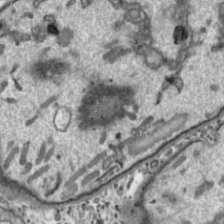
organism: Toxoplasma gondii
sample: Parasites in a vacuole inside a host cell